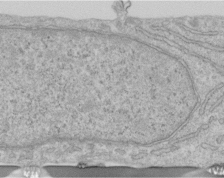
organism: Human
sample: Centriole in RPE cells